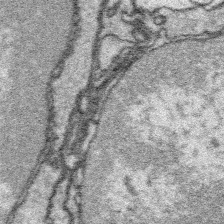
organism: Platynereis dumerilii